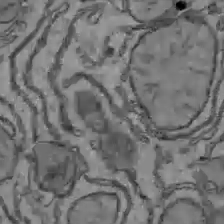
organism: C57BL Mouse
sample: Liver